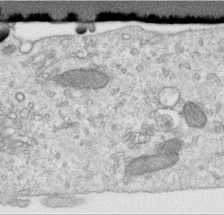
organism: Human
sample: Centriole in RPE cells